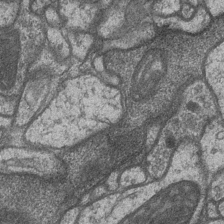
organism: Drosophila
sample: Optic medulla